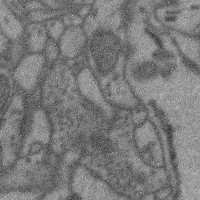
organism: Mouse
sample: Cerebral cortex